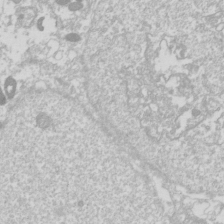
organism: Drosophila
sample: Cell division; meiosis; drosophila spermatocytes